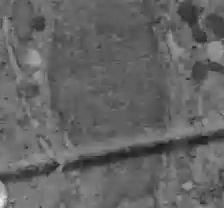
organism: C57BL Mouse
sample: Liver